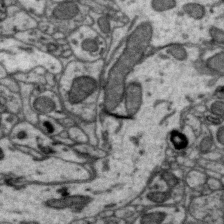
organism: Zebra finch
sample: Brain